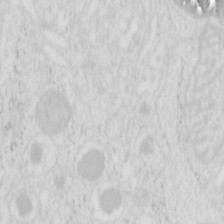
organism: Mouse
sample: Pancreas